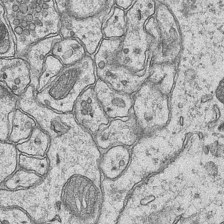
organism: Mouse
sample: CA1 Hippocampus